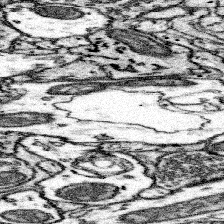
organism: Mouse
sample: Somatosensory cortex neuropil